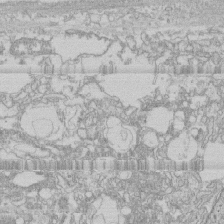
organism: Human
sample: CRL-1474